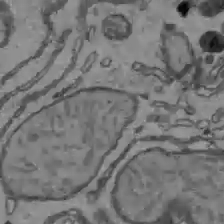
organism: C57BL Mouse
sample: Liver